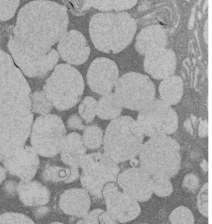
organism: Rat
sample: Salivary granule